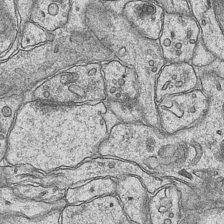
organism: Mouse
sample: CA1 Hippocampus